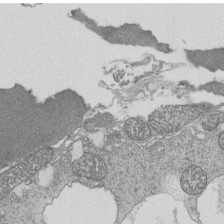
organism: Tetrahymena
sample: Cilia in tetrahymena